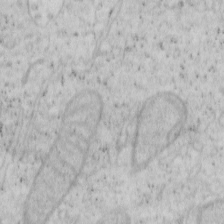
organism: Human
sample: HeLa cells